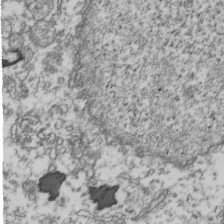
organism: Human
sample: Activated Jurkat CD4+ T cells